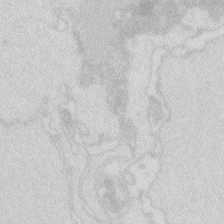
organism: Zebrafish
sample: Macrophage